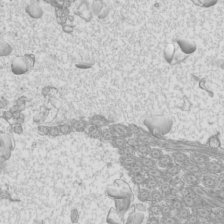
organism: Mouse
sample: Cilia; mouse epididymis